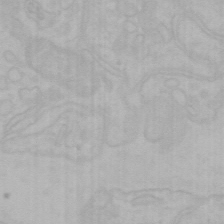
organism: Mouse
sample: Choroid plexus